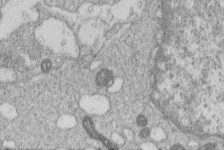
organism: Human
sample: Macrophage cells